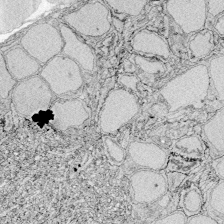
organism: Zebrafish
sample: Whole-Brain